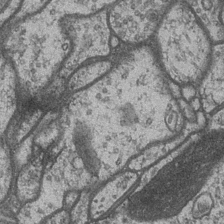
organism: Drosophila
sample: Optic medulla